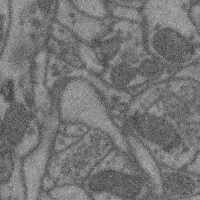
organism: Mouse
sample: Cerebral cortex